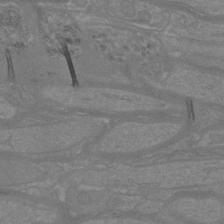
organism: Mouse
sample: Cortical neurons